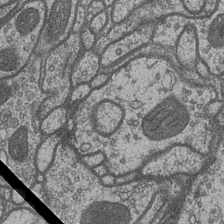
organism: Drosophila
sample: Optic medulla